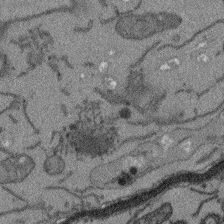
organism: Arabidopsis thaliana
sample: Root tip